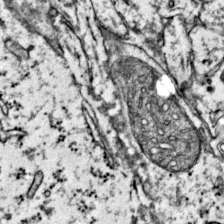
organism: Mouse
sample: Primary visual cortex